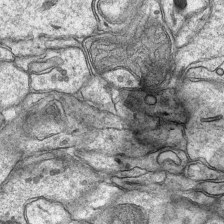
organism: Mouse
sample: CA1 Hippocampus